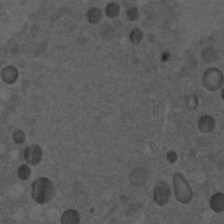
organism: C. elegans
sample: C. elegans embryo